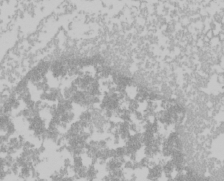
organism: Mouse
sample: Cancer cell death in ED-1 cells